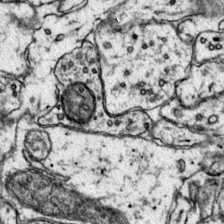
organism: Mouse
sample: Primary visual cortex